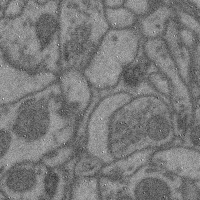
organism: Mouse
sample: Cerebral cortex